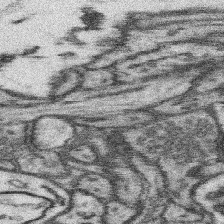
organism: Mouse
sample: Somatosensory cortex neuropil